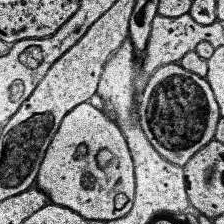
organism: Human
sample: Temporal Lobe